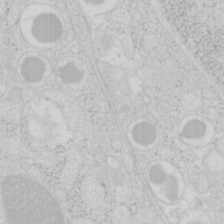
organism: Mouse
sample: Pancreas